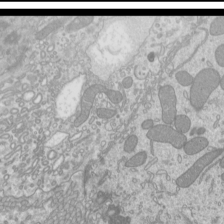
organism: Mouse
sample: Cilia; mouse epididymis